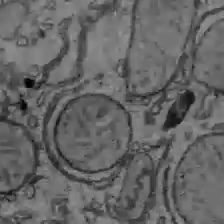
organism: C57BL Mouse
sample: Liver